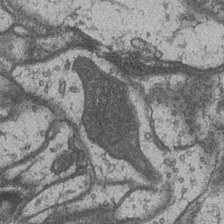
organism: Drosophila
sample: Optic medulla